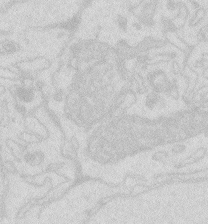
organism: Zebrafish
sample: Macrophage